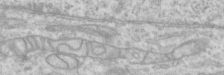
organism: Human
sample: Centriole in RPE cells